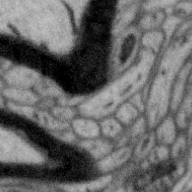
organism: Zebra finch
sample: Brain